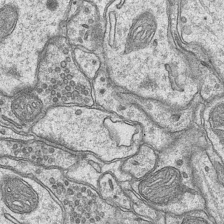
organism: Mouse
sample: CA1 Hippocampus